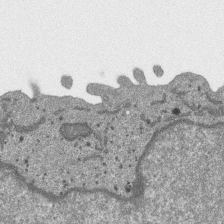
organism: Human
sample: Lung epithelial cells infected with SARS-CoV-2